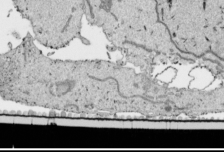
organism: Human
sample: Mitochondria in HCT116 cells